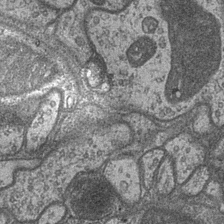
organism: Drosophila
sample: Optic medulla